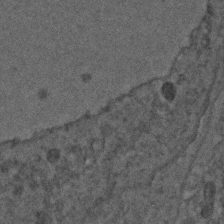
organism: C. elegans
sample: C. elegans embryo